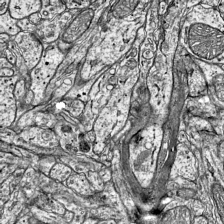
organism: Mouse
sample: Visual Cortex